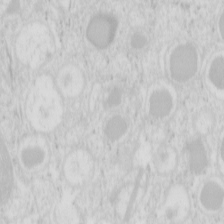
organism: Mouse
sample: Pancreas